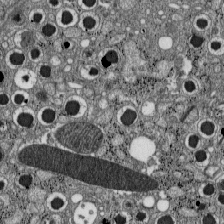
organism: C57BL Mouse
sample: Pancreatic islet